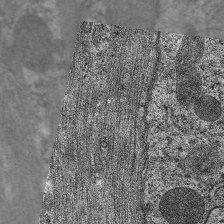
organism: C. elegans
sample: Pharynx